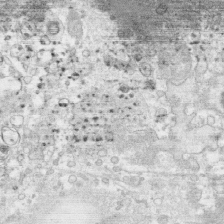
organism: Human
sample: CRL-1474